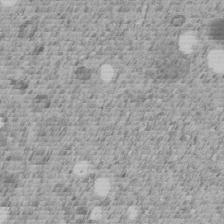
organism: C. elegans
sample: C. elegans embryo early stage